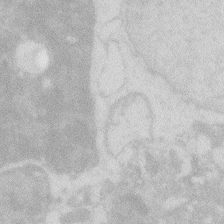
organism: Zebrafish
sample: Macrophage